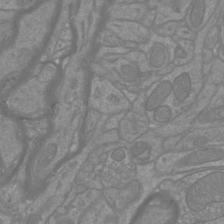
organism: Mouse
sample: Cortical neurons